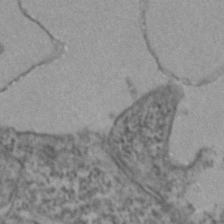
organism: Zebrafish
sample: Zebrafish embryo